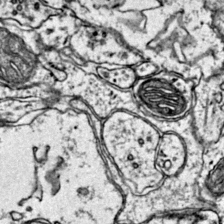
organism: Mouse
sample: Primary visual cortex